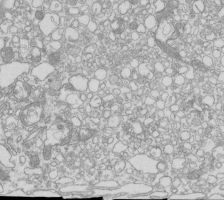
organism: Mouse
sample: Macrophages